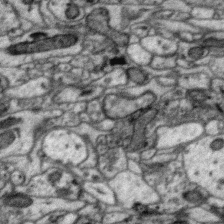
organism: Zebra finch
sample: Brain